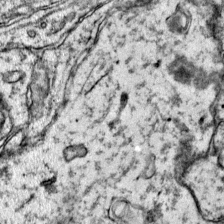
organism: Mouse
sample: Primary visual cortex